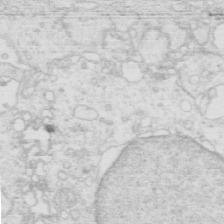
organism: Mouse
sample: Multiciliated cells